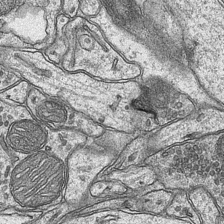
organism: Mouse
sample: CA1 Hippocampus